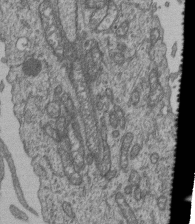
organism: Human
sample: Retinal organoid Rod and Cone cells